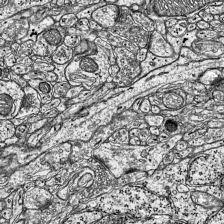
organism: Mouse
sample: Visual Cortex